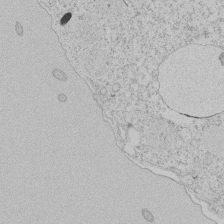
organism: Tetrahymena